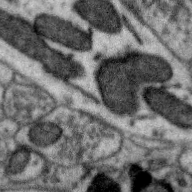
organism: Zebra finch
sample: Brain